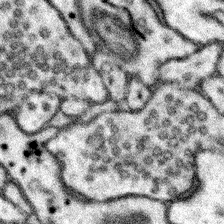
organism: Mouse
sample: Somatosensory cortex neuropil